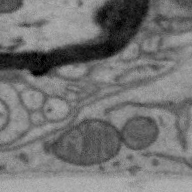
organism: Zebra finch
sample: Brain